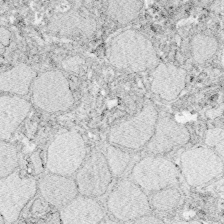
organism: Zebrafish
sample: Whole-Brain